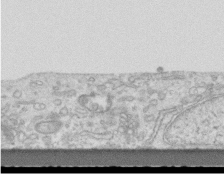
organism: Mouse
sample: Centriole in ependymal cells